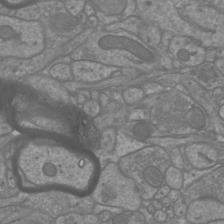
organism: Mouse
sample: Cortical neurons